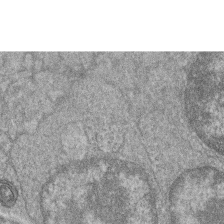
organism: Zebrafish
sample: Cilia; retinal pigment epithelium